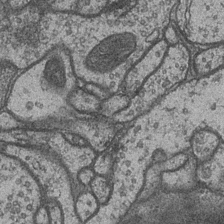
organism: Drosophila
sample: Optic medulla